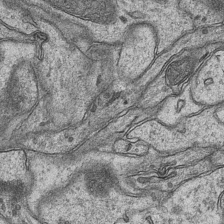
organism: Mouse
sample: CA1 Hippocampus